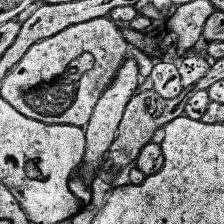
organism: Human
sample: Temporal Lobe